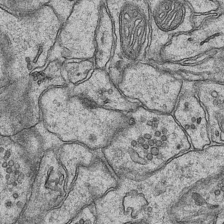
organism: Mouse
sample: CA1 Hippocampus